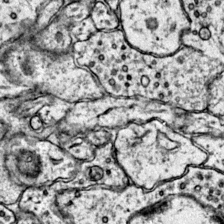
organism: Mouse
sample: Primary visual cortex